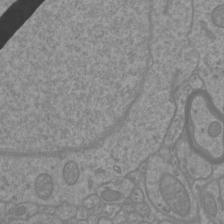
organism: Mouse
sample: Cortical neurons